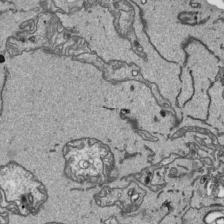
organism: Human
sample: Mitochondria in HCT116 cells